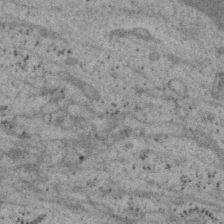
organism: Human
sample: HeLa cells